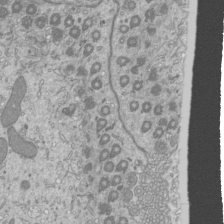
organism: Mouse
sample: Cilia; mouse epididymis